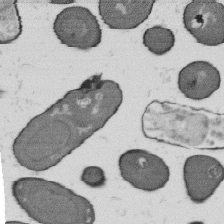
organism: B. subtilis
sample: Bacterial spore